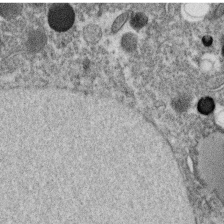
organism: C. elegans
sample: C. elegans oocyte; sperm cells